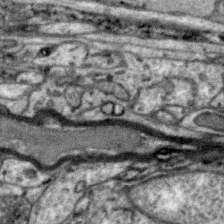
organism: Zebra finch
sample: Brain